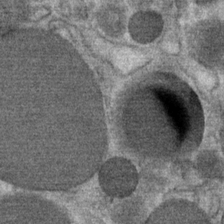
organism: Mouse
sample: Mouse Salivary gland